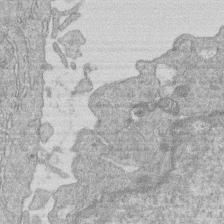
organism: Human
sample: Macrophage cells